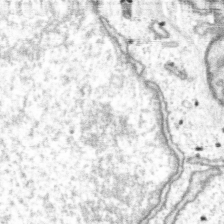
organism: Human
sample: HeLa cells